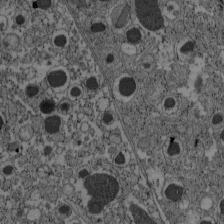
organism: C57BL Mouse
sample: Pancreatic islet